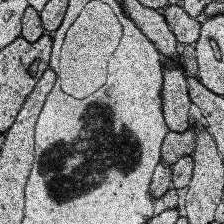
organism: Human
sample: Temporal Lobe